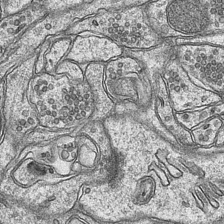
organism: Mouse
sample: CA1 Hippocampus